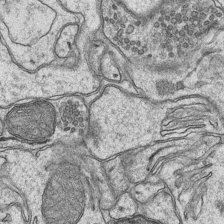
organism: Mouse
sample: CA1 Hippocampus